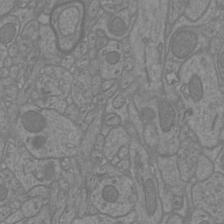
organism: Mouse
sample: Cortical neurons